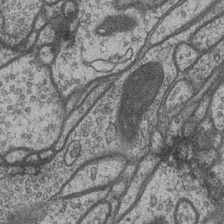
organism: Drosophila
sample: Optic medulla